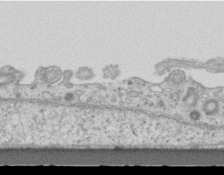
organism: Mouse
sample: Centriole in ependymal cells